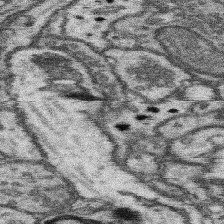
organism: Mouse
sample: Somatosensory cortex neuropil